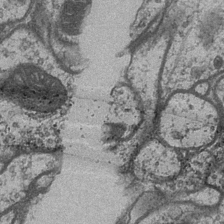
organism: Drosophila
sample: Optic medulla